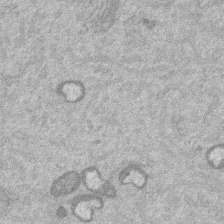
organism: Mouse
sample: Dividing mouse embryo 1 cell stage